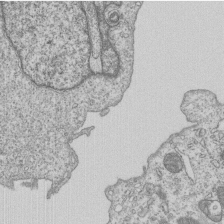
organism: Human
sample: MDA-MB-231 cells